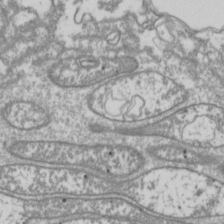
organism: Drosophila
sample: Cell division; meiosis; drosophila spermatocytes